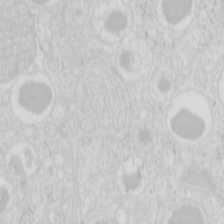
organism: Mouse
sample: Pancreas